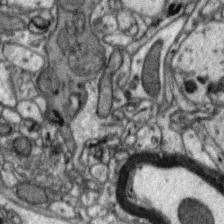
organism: Zebra finch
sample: Brain